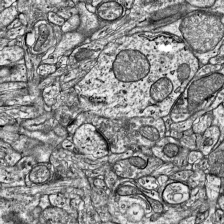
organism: Mouse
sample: Visual Cortex